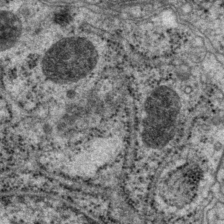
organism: P. pacificus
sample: Pharynx